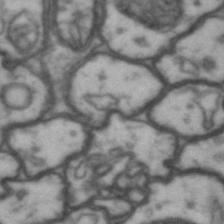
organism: Drosophila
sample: Brain